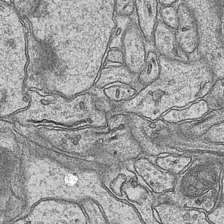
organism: Mouse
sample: CA1 Hippocampus